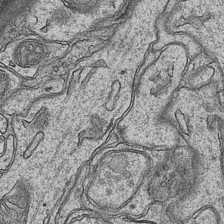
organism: Mouse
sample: CA1 Hippocampus